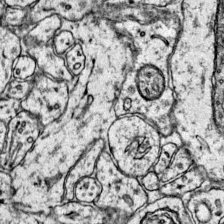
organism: Mouse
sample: Primary visual cortex